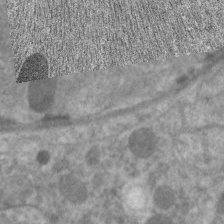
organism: C. elegans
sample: Pharynx